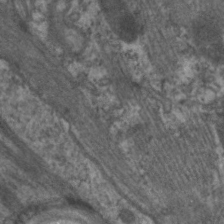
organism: C. elegans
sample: Pharynx